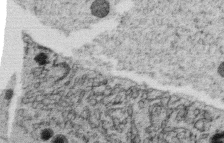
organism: C. elegans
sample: C. elegans oocyte; sperm cells